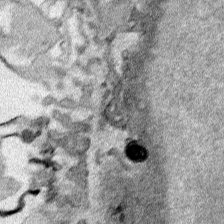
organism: Human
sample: Mitochondria in HCT116 cells